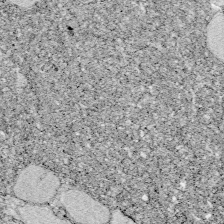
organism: Zebrafish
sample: Whole-Brain